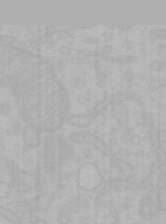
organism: Mouse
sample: Choroid plexus